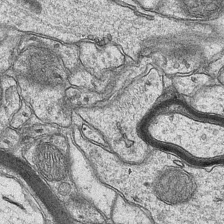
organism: Mouse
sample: CA1 Hippocampus